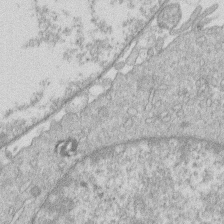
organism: Human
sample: Macrophage cells